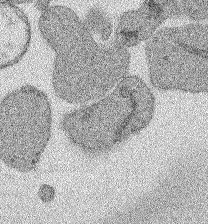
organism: Human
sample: HeLa cells